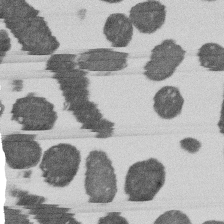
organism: E. coli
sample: Bacterial nucleoid